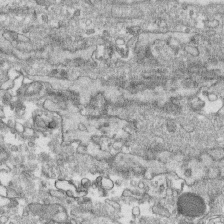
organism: Human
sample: CRL-1474